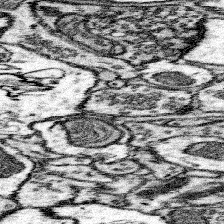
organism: Mouse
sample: Somatosensory cortex neuropil